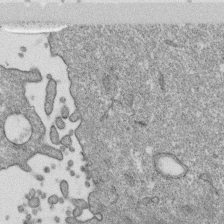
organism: African green monkey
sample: Vero E6 cells infected with SARS-CoV-2